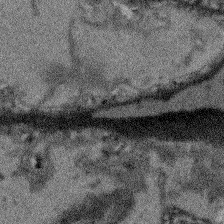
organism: Arabidopsis thaliana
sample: Root tip